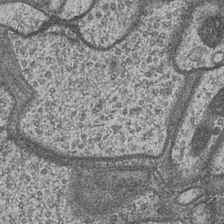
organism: Drosophila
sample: Optic medulla